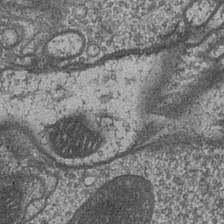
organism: Drosophila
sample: Optic medulla